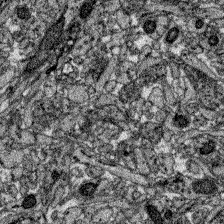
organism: Zebrafish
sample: Larval olfactory bulb